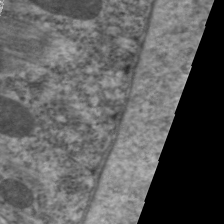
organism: C. elegans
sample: Pharynx